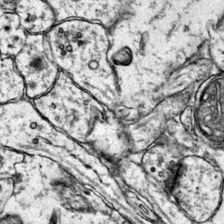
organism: Mouse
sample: Primary visual cortex